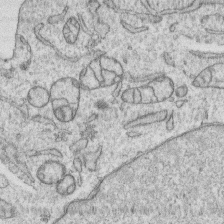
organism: Human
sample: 1205lu cells